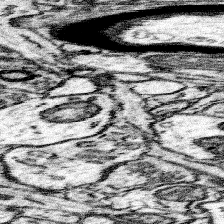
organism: Mouse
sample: Somatosensory cortex neuropil